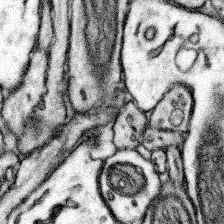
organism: Mouse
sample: Somatosensory cortex neuropil